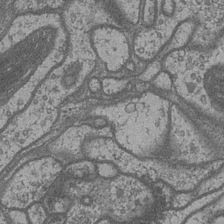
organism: Drosophila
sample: Optic medulla